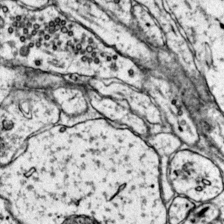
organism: Mouse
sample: Primary visual cortex